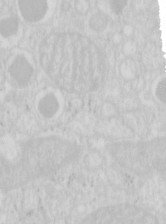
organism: Mouse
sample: Pancreas